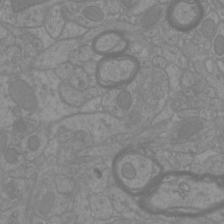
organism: Mouse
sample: Cortical neurons